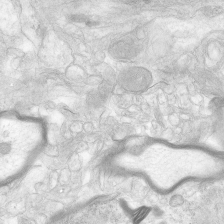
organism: Human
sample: Neocortex